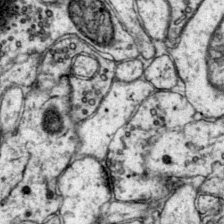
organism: Mouse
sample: Primary visual cortex